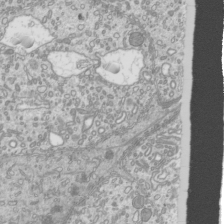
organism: Mouse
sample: Cilia; mouse epididymis